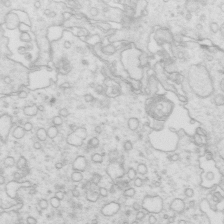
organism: Mouse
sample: Multiciliated cells